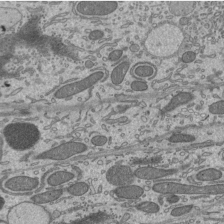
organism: Mouse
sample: Mouse epididymis efferent ductule cilia